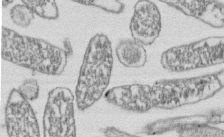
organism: E. coli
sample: Bacterial nucleoid